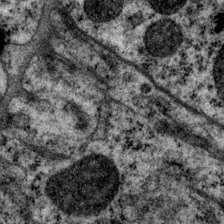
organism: P. pacificus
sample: Pharynx